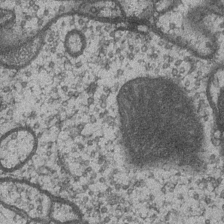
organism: Drosophila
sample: Optic medulla